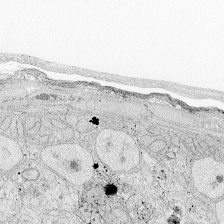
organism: Zebrafish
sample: Whole-Brain